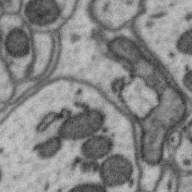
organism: Zebra finch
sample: Brain